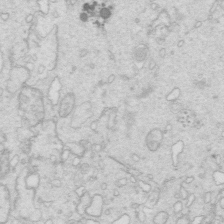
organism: Mouse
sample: Multiciliated cells